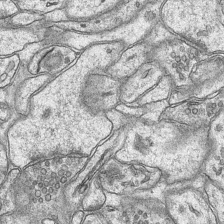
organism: Mouse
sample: CA1 Hippocampus